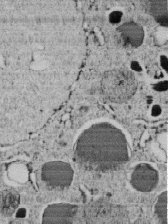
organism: C. elegans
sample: C. elegans embryo early stage